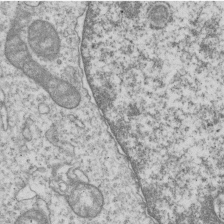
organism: Human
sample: MDA-MB-231 cells